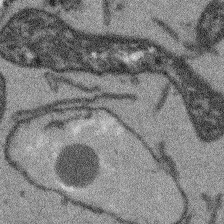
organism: Arabidopsis thaliana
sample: Root tip